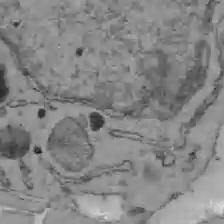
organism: C57BL Mouse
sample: Liver